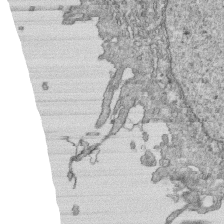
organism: Human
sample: HeLa cell HIV synapse